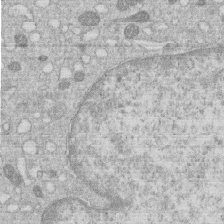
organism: Human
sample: Macrophage cells